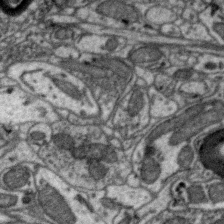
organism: Zebra finch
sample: Brain